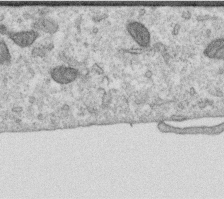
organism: Human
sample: Centriole in RPE cells